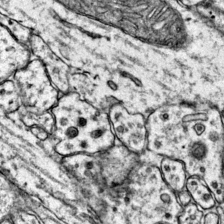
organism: Mouse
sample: Primary visual cortex